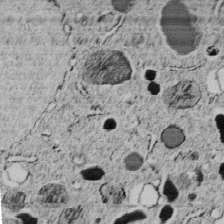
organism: C. elegans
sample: C. elegans embryo early stage